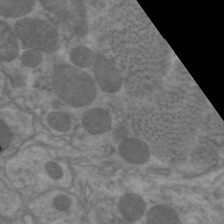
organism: C. elegans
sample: Pharynx